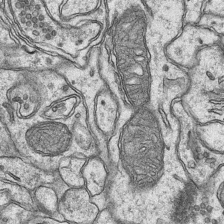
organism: Mouse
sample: CA1 Hippocampus